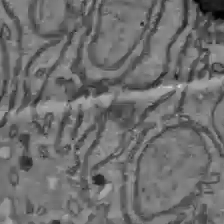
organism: C57BL Mouse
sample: Liver